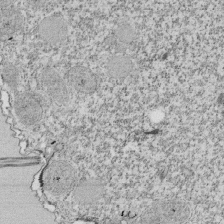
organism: Tetrahymena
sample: Cilia in tetrahymena